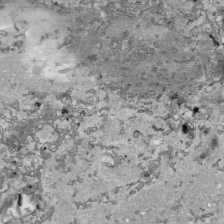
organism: Human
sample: Mitochondria in HCT116 cells